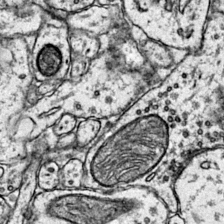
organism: Mouse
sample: Primary visual cortex